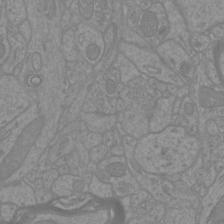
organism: Mouse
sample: Cortical neurons